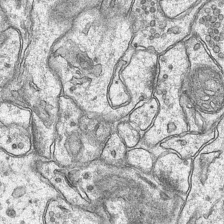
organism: Mouse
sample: CA1 Hippocampus